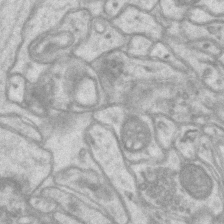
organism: Mouse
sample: CA1 Hippocampus